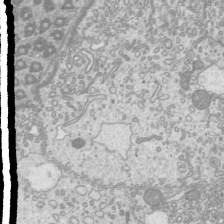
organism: Mouse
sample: Cilia; mouse epididymis